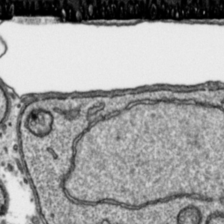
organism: Toxoplasma gondii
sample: Parasites in a vacuole inside a host cell